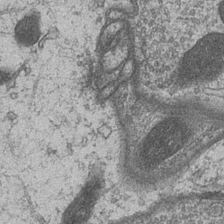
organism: Drosophila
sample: Optic medulla